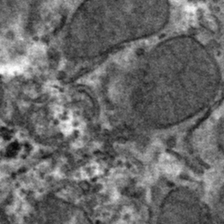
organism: Mouse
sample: Mouse hepatocytes